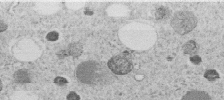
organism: C. elegans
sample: C. elegans embryo early stage